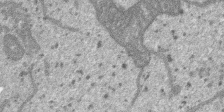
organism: Human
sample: Lung epithelial cells infected with SARS-CoV-2